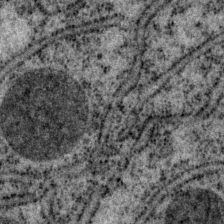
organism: P. pacificus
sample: Pharynx